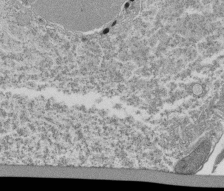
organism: Tetrahymena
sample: Cilia in tetrahymena